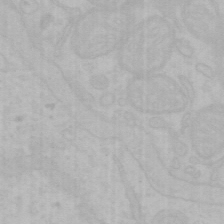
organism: Mouse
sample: Choroid plexus